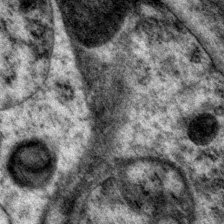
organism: P. pacificus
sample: Pharynx